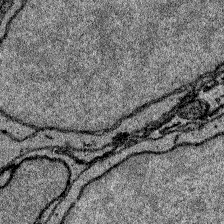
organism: Zebrafish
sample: Larval olfactory bulb